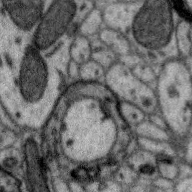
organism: Zebra finch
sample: Brain